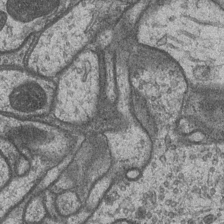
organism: Drosophila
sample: Optic medulla